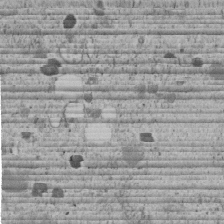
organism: C. elegans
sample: C. elegans embryo early stage